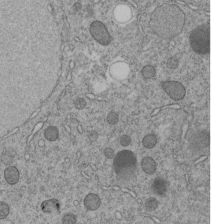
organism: C. elegans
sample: C. elegans embryo early stage